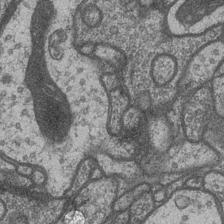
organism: Drosophila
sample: Optic medulla